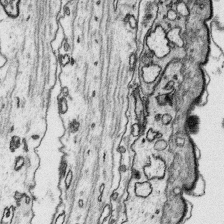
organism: Platynereis dumerilii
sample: Parapodia